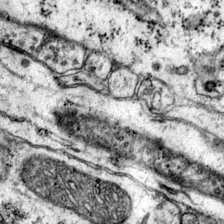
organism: Mouse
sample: Primary visual cortex